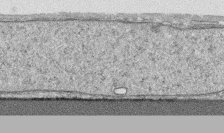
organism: Human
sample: CRL-1474